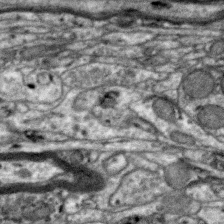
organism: Zebra finch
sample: Brain